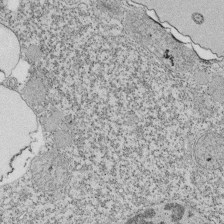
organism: Tetrahymena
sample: Cilia in tetrahymena